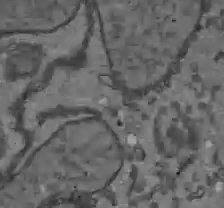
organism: C57BL Mouse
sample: Liver